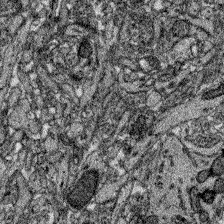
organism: Zebrafish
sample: Larval olfactory bulb